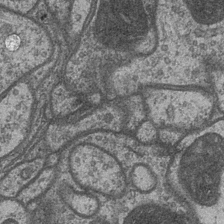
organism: Drosophila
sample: Optic medulla